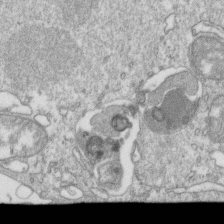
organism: Mouse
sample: Activated OT-1 CD8+ T cells